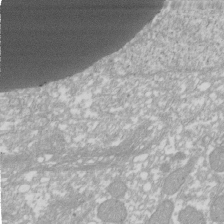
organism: Xenopus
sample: Cilia; centrioles in frog embryo cells